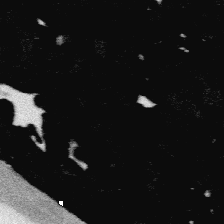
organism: Platynereis dumerilii